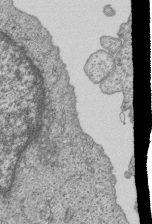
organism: Human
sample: MDA-MB-231 cells